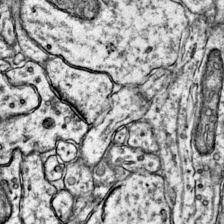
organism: Mouse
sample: Primary visual cortex